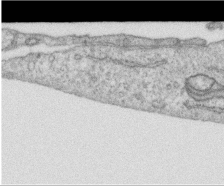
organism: Human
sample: Centriole in RPE cells